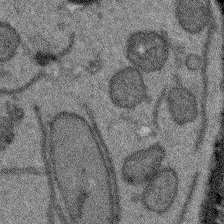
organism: Arabidopsis thaliana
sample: Root tip